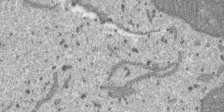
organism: Human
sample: Lung epithelial cells infected with SARS-CoV-2